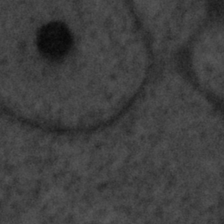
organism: Tuwongella immobilis